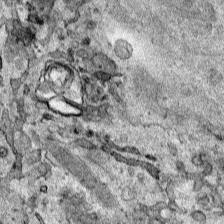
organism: Human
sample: Mitochondria in HCT116 cells